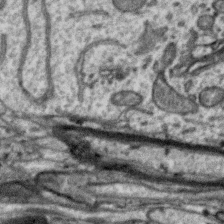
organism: Zebra finch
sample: Brain